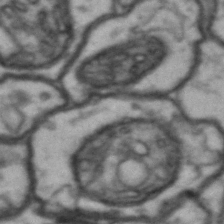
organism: Drosophila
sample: Brain